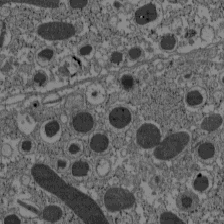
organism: C57BL Mouse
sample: Pancreatic islet